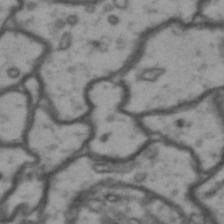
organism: Drosophila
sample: Brain